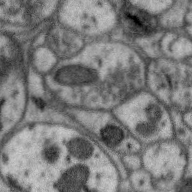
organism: Zebra finch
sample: Brain